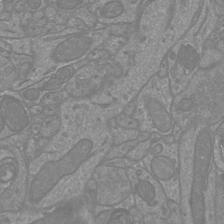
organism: Mouse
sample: Cortical neurons